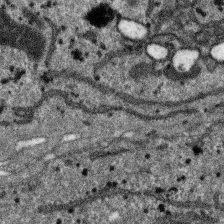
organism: Human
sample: Lung epithelial cells infected with SARS-CoV-2